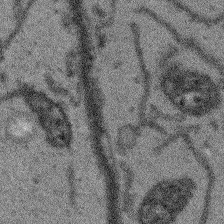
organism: Arabidopsis thaliana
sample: Root tip